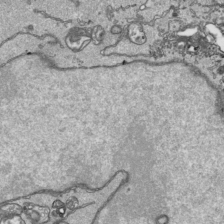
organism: Human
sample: Mitochondria in HCT116 cells